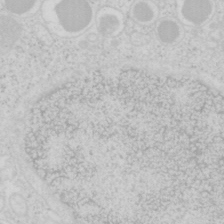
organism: Mouse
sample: Pancreas